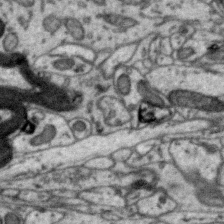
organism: Zebra finch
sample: Brain